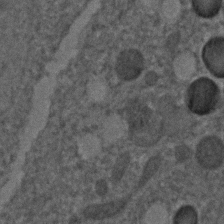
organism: C. elegans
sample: C. elegans embryo